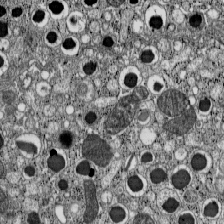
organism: C57BL Mouse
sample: Pancreatic islet